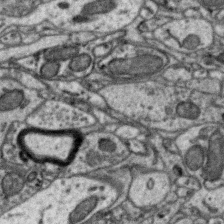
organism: Zebra finch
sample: Brain